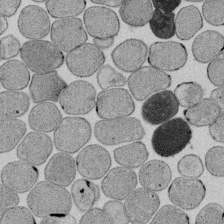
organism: E. coli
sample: Bacterial nucleoid